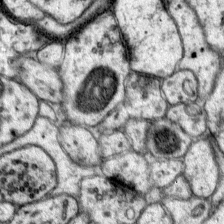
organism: Mouse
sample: Primary visual cortex